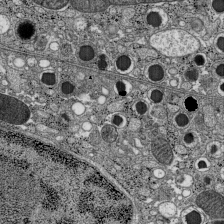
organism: C57BL Mouse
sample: Pancreatic islet